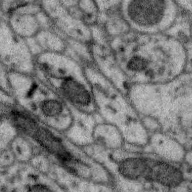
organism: Zebra finch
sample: Brain